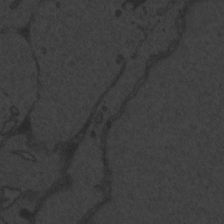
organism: Zebrafish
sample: Macrophage infected with Toxoplasma gondii